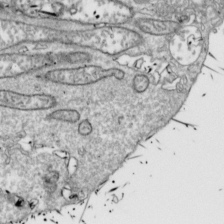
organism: Drosophila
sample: Cell division; meiosis; drosophila spermatocytes